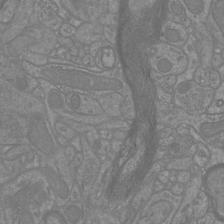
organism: Mouse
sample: Cortical neurons